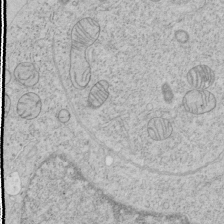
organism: Human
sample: Mitochondria in HCT116 cells